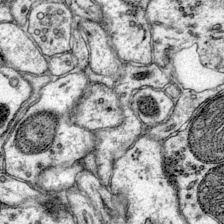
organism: Mouse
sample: Primary visual cortex